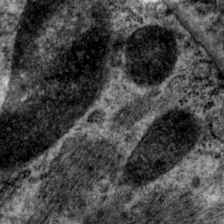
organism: P. pacificus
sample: Pharynx